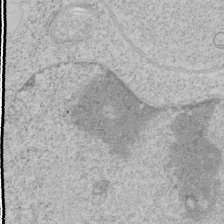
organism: Human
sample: Mitochondria in HCT116 cells